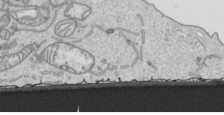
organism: Human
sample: Mitochondria in HCT116 cells